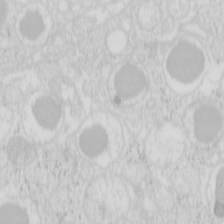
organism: Mouse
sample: Pancreas